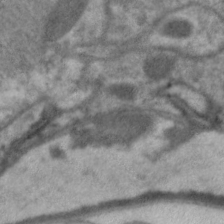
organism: C. elegans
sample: Pharynx